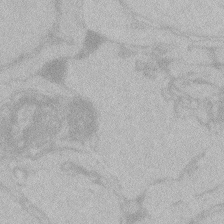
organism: Zebrafish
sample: Macrophage infected with Toxoplasma gondii